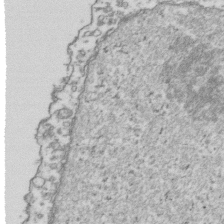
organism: Human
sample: Activated Jurkat CD4+ T cells